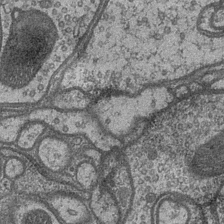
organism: Drosophila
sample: Optic medulla